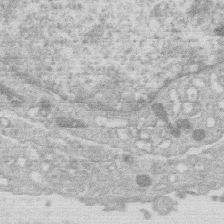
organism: Human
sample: Macrophage cells